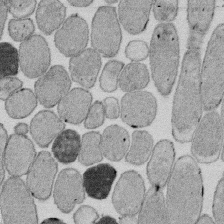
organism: E. coli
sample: Bacterial nucleoid